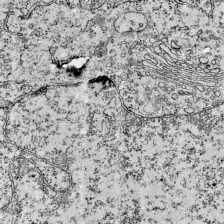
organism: Mouse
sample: Visual Cortex